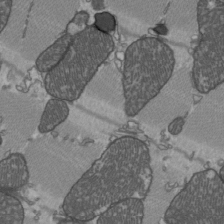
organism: C57BL Mouse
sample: Heart